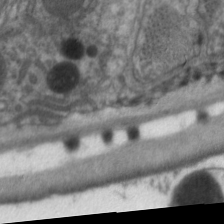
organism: C. elegans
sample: Pharynx